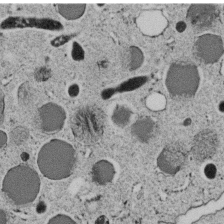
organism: C. elegans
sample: C. elegans embryo early stage